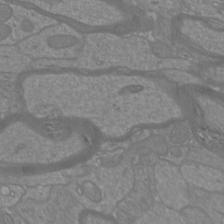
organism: Mouse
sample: Cortical neurons